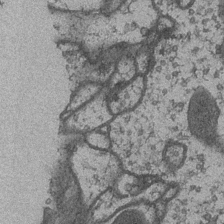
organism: Drosophila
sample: Optic medulla